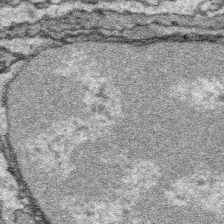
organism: Platynereis dumerilii